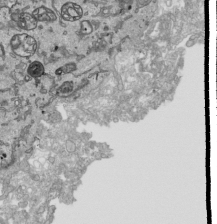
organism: Human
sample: Mitochondria in HCT116 cells